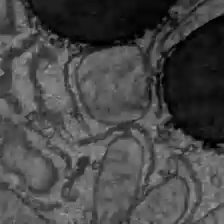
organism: C57BL Mouse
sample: Liver